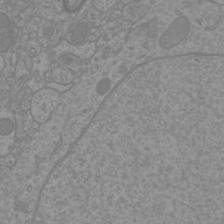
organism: Mouse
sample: Cortical neurons